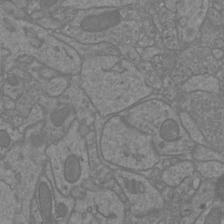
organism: Mouse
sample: Cortical neurons